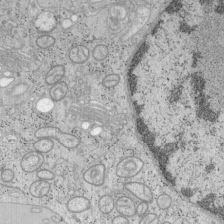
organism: Mouse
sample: OT-I killer T cells with ID8 ovarian cancer cells